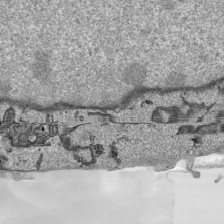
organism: Human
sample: Mitochondria in HCT116 cells